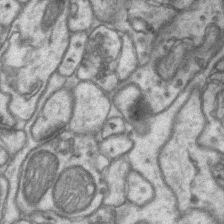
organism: Mouse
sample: CA1 Hippocampus